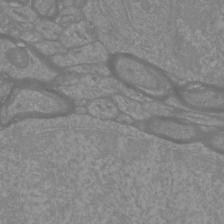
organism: Mouse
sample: Cortical neurons